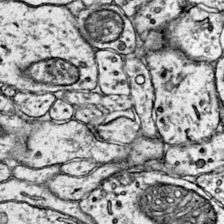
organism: Mouse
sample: Primary visual cortex